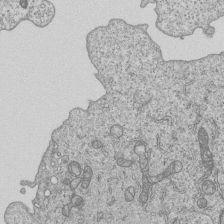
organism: Human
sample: MDA-MB-231 cells